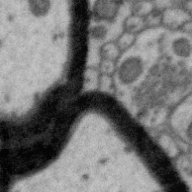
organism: Zebra finch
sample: Brain